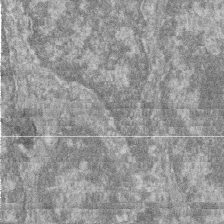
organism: Zebrafish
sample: Cilia; retinal pigment epithelium